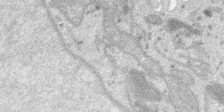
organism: Human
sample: Lung epithelial cells infected with SARS-CoV-2